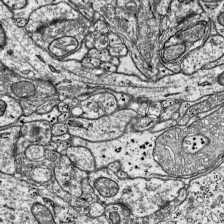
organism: Mouse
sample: Visual Cortex